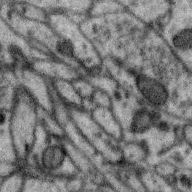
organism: Zebra finch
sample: Brain